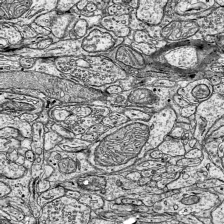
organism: Mouse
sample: Visual Cortex